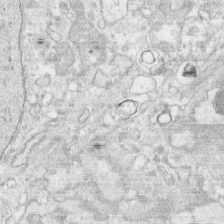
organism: Human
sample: CRL-1474